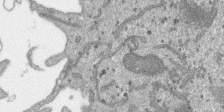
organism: Human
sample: Lung epithelial cells infected with SARS-CoV-2